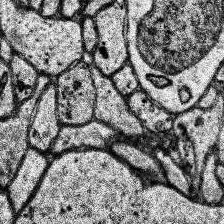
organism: Human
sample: Temporal Lobe